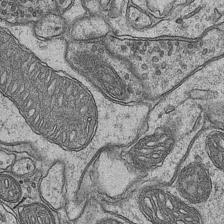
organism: Mouse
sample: CA1 Hippocampus